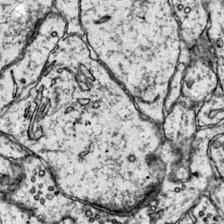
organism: Mouse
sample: Primary visual cortex